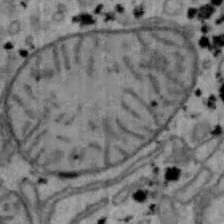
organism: Mouse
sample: Liver